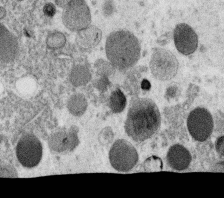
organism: C. elegans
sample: C. elegans oocyte; sperm cells